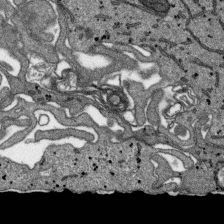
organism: Human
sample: Lung epithelial cells, uninfected (mock) control